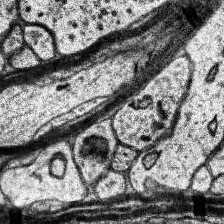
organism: Human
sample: Temporal Lobe